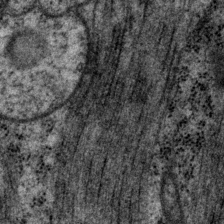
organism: P. pacificus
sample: Pharynx